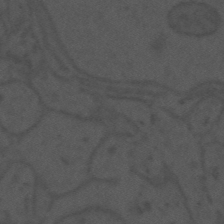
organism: Mouse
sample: Suprachiasmatic nucleus